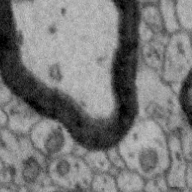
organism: Zebra finch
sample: Brain